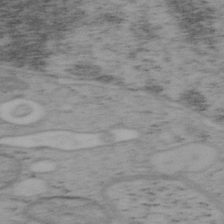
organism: Mouse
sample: OT-I killer T cells with ID8 ovarian cancer cells